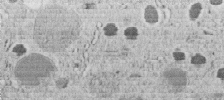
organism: C. elegans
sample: C. elegans embryo early stage